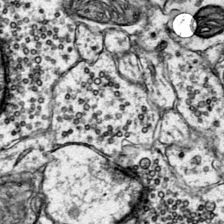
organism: Mouse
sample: Primary visual cortex